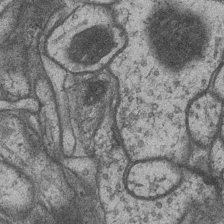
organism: Drosophila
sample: Optic medulla